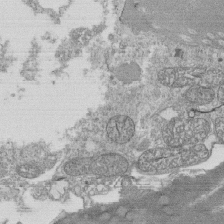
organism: Tetrahymena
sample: Cilia in tetrahymena